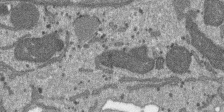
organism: Human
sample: Lung epithelial cells infected with SARS-CoV-2